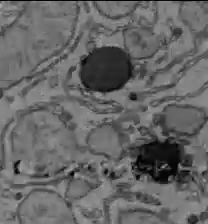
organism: C57BL Mouse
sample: Liver